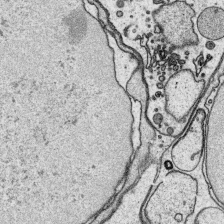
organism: Platynereis dumerilii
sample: Parapodia